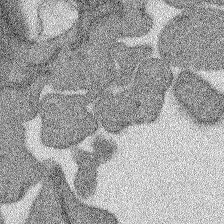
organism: Human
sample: HeLa cells